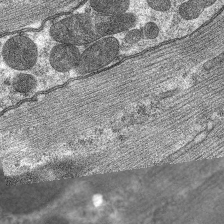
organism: C. elegans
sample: Pharynx